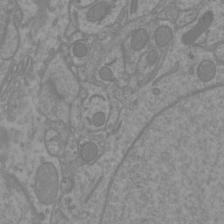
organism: Mouse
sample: Cortical neurons